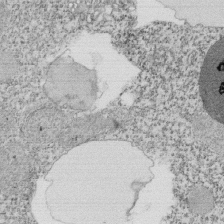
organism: Tetrahymena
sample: Cilia in tetrahymena